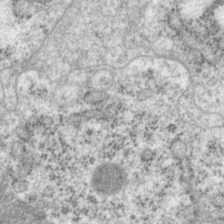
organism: P. pacificus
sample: Pharynx